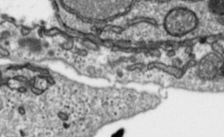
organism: Toxoplasma gondii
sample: Parasites in a vacuole inside a host cell